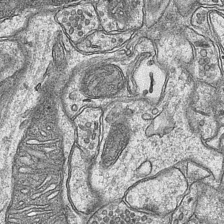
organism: Mouse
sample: CA1 Hippocampus